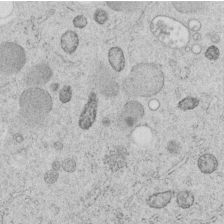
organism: C. elegans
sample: C. elegans embryo early stage